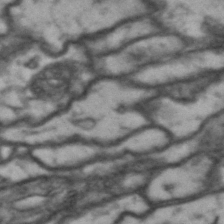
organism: Drosophila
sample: Brain